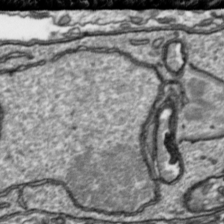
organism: Toxoplasma gondii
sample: Parasites in a vacuole inside a host cell